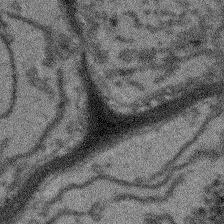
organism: Arabidopsis thaliana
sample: Root tip